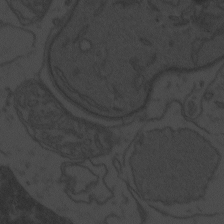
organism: Zebrafish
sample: Macrophage infected with Toxoplasma gondii